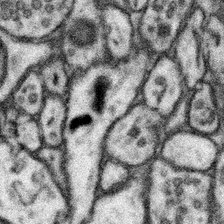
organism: Mouse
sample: Somatosensory cortex neuropil